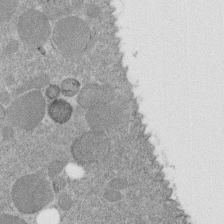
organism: C. elegans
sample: C. elegans embryo early stage